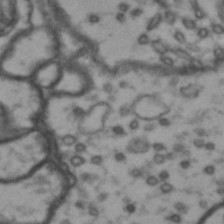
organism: Drosophila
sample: Brain